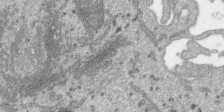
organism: Human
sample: Lung epithelial cells infected with SARS-CoV-2